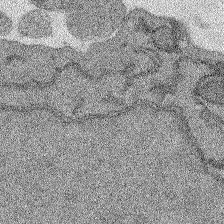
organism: Human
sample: HeLa cells